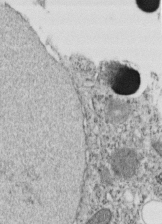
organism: C. elegans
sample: C. elegans embryo early stage